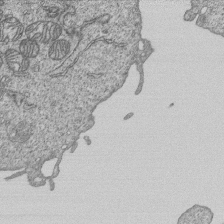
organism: Human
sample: MDA-MB-231 cells